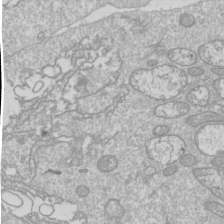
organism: Drosophila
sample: Cell division; meiosis; drosophila spermatocytes